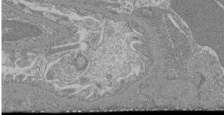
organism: Mouse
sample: Glomerulus